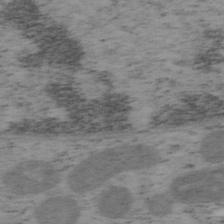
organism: Mouse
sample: OT-I killer T cells with ID8 ovarian cancer cells